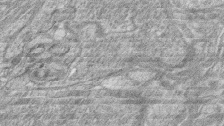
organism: Zebrafish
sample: synaptic ribbons in rod cells and cone cells